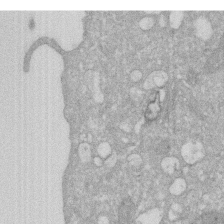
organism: Human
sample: HIV infected U937 cells